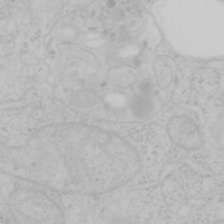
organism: Mouse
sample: OT-I killer T cells with ID8 ovarian cancer cells